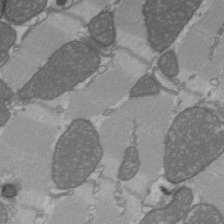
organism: C57BL Mouse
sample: Heart